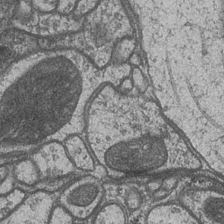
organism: Drosophila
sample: Optic medulla